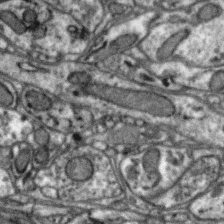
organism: Zebra finch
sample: Brain